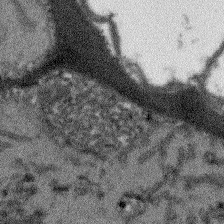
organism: Arabidopsis thaliana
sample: Root tip